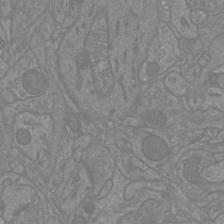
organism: Mouse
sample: Cortical neurons